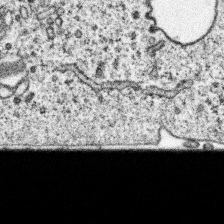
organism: Human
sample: HeLa cells